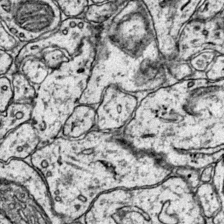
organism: Mouse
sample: Primary visual cortex